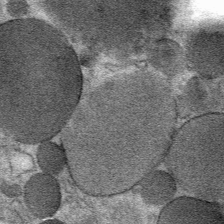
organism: Mouse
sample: Mouse Salivary gland